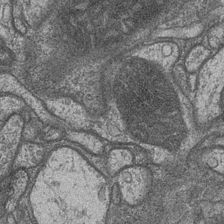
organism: Drosophila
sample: Optic medulla